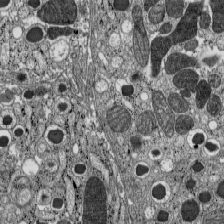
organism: C57BL Mouse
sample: Pancreatic islet